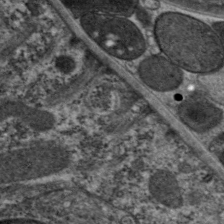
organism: C. elegans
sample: Pharynx